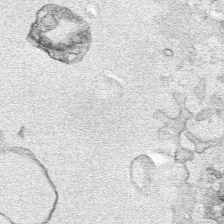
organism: Human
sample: Mitochondria in HCT116 cells